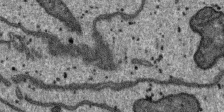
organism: Human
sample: Lung epithelial cells, uninfected (mock) control